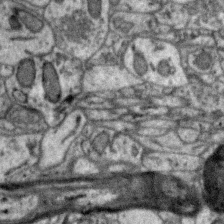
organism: Zebra finch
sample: Brain